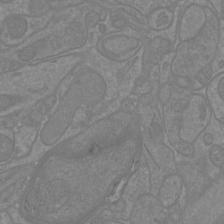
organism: Mouse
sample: Cortical neurons